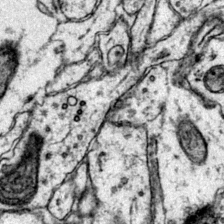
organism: Mouse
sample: Primary visual cortex